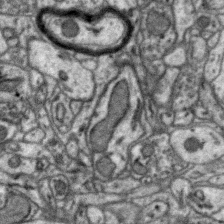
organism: Zebra finch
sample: Brain